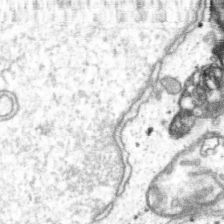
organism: Human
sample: HeLa cells